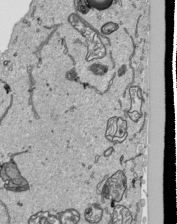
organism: Human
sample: Mitochondria in HCT116 cells